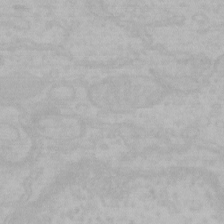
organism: Mouse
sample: Choroid plexus